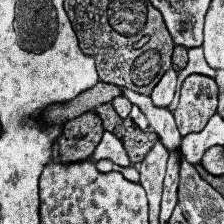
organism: Human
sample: Temporal Lobe